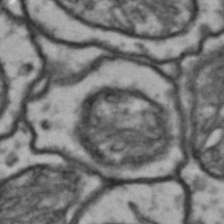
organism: Drosophila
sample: Brain